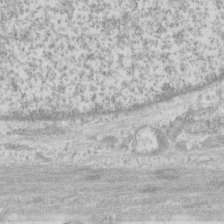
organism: Human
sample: CRL-1474